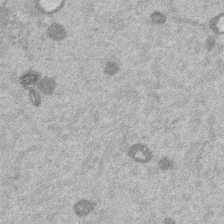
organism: Mouse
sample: Dividing mouse embryo 1 cell stage